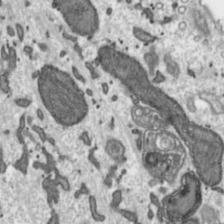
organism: Toxoplasma gondii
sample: Parasites in a vacuole inside a host cell